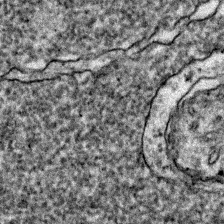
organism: Zebrafish